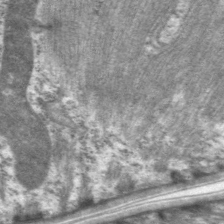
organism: C. elegans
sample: Pharynx